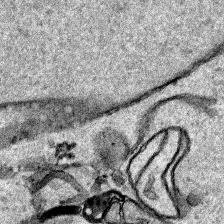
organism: Human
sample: Mitochondria in HCT116 cells